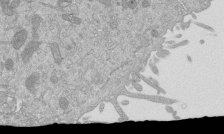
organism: Mouse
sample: ED-1 cell nuclei; centrioles